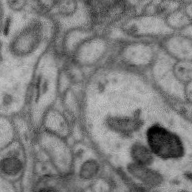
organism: Zebra finch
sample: Brain